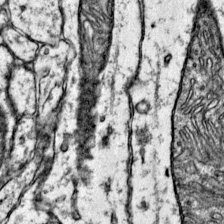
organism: Mouse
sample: Primary visual cortex